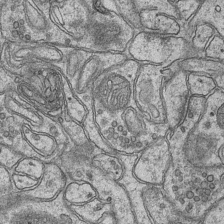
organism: Mouse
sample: CA1 Hippocampus